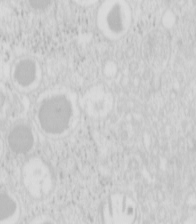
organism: Mouse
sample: Pancreas